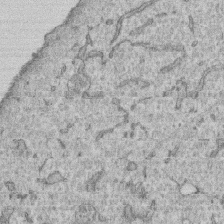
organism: Human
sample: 1205lu cells